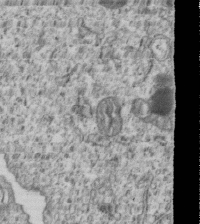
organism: Human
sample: MDA-MB-231 cells